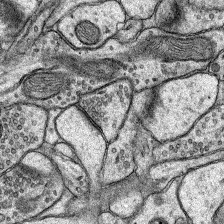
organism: Rat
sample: Hippocampus